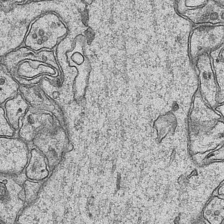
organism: Mouse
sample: CA1 Hippocampus